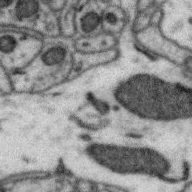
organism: Zebra finch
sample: Brain